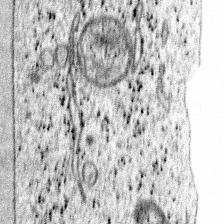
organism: Human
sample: HeLa cells